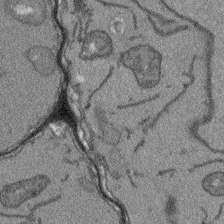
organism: Arabidopsis thaliana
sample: Root tip